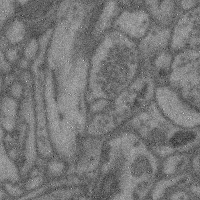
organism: Mouse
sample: Cerebral cortex